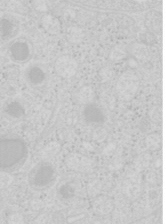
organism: Mouse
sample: Pancreas